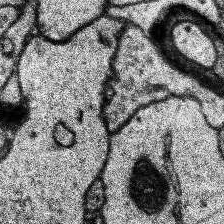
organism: Human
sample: Temporal Lobe